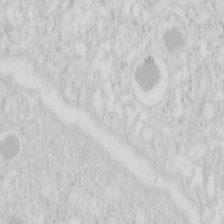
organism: Mouse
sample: Pancreas